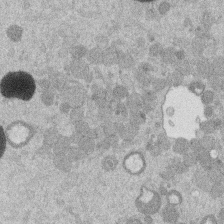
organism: Mouse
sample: Dividing mouse embryo 1 cell stage